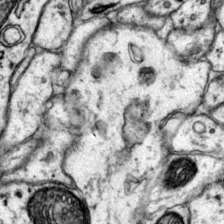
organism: Mouse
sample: Primary visual cortex